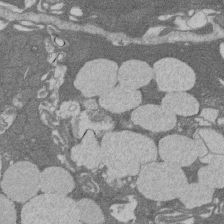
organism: Rat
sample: Salivary granule